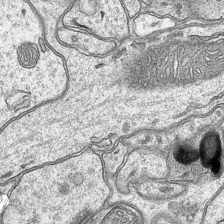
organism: Mouse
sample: CA1 Hippocampus